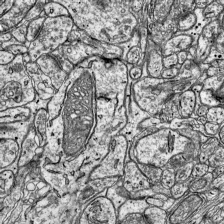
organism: Mouse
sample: Visual Cortex